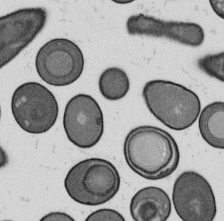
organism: B. subtilis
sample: Bacterial spore